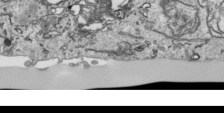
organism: Human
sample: Mitochondria in HCT116 cells